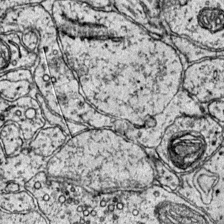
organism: Mouse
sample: Primary visual cortex